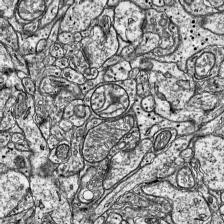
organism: Mouse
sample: Visual Cortex